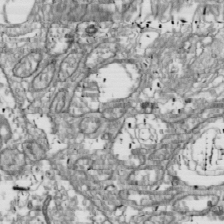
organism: Drosophila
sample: Cell division; meiosis; drosophila spermatocytes